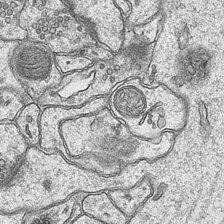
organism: Mouse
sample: CA1 Hippocampus